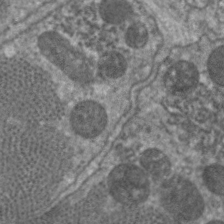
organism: C. elegans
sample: Pharynx